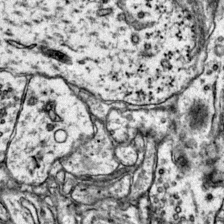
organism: Mouse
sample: Primary visual cortex